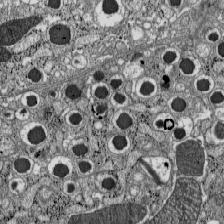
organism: C57BL Mouse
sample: Pancreatic islet